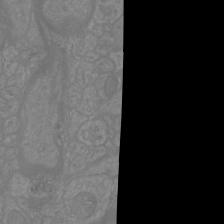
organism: Mouse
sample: Cortical neurons